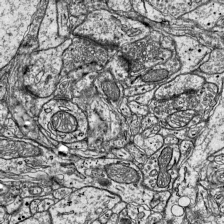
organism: Mouse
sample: Visual Cortex